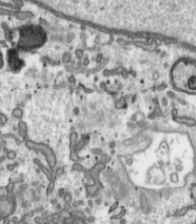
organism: Toxoplasma gondii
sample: Parasites in a vacuole inside a host cell